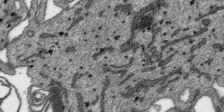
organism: Human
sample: Lung epithelial cells, uninfected (mock) control